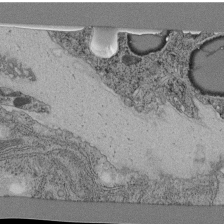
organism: C. elegans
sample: C. elegans pharynx